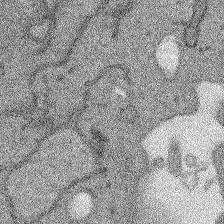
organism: Human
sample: HeLa cells